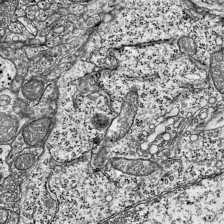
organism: Mouse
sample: Visual Cortex